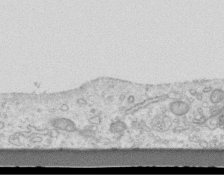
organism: Mouse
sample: Centriole in ependymal cells